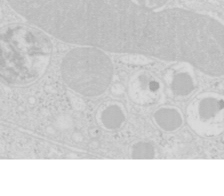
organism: Mouse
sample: Pancreas